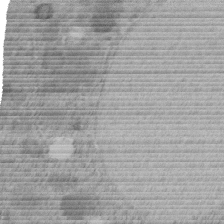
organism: C. elegans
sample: C. elegans embryo early stage